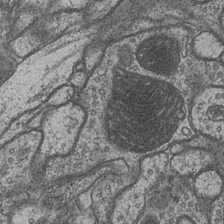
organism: Drosophila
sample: Optic medulla